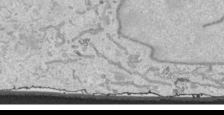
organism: Human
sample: Mitochondria in HCT116 cells